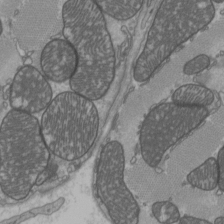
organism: C57BL Mouse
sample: Heart